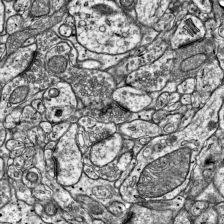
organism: Mouse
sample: Visual Cortex